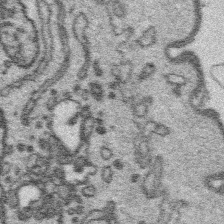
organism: Platynereis dumerilii